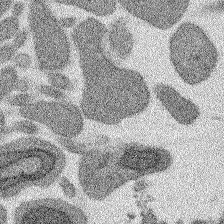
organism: Human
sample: HeLa cells